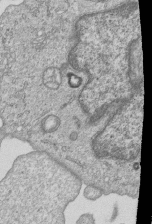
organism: Human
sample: MDA-MB-231 cells